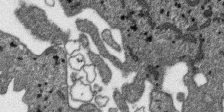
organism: Human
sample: Lung epithelial cells infected with SARS-CoV-2